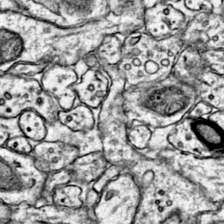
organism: Mouse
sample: Primary visual cortex